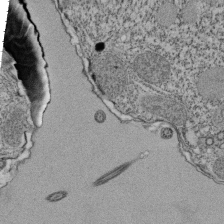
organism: Tetrahymena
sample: Cilia in tetrahymena